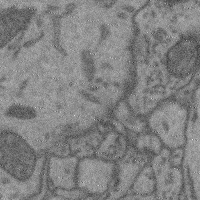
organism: Mouse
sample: Cerebral cortex